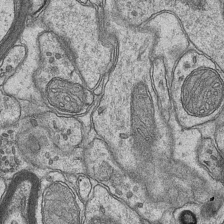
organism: Mouse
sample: CA1 Hippocampus